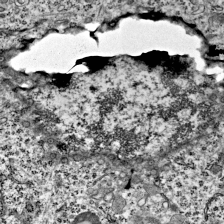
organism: Mouse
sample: Visual Cortex